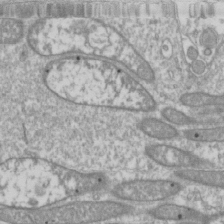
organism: Drosophila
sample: Cell division; meiosis; drosophila spermatocytes